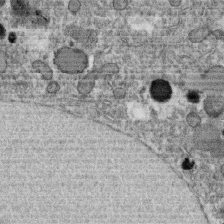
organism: C. elegans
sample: C. elegans oocyte; sperm cells